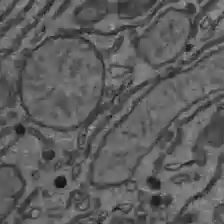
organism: C57BL Mouse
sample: Liver